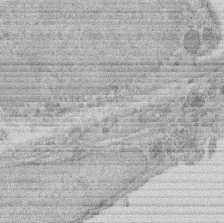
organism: Rat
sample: Salivary granule